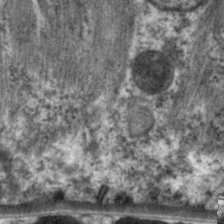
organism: C. elegans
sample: Pharynx